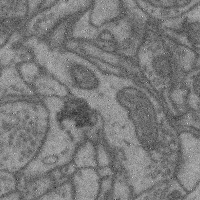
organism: Mouse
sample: Cerebral cortex